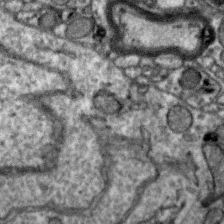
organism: Zebra finch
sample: Brain